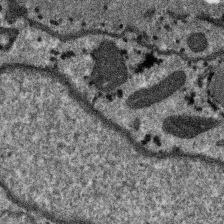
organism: Human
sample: Lung epithelial cells infected with SARS-CoV-2